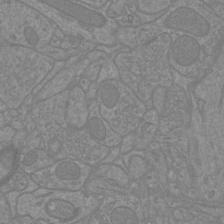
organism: Mouse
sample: Cortical neurons